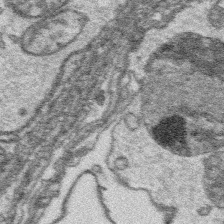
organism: Platynereis dumerilii